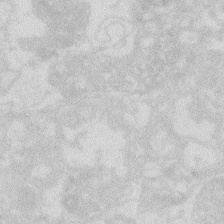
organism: Zebrafish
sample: Macrophage